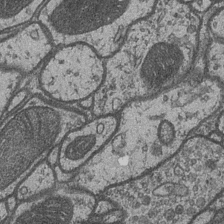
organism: Drosophila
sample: Optic medulla